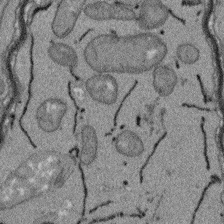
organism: Arabidopsis thaliana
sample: Root tip